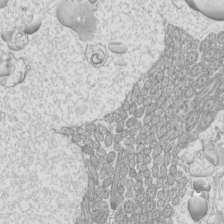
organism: Mouse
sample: Cilia; mouse epididymis